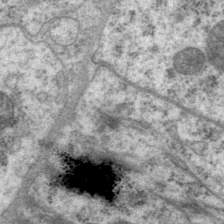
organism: P. pacificus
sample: Pharynx